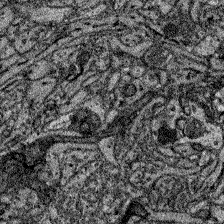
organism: Zebrafish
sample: Larval olfactory bulb